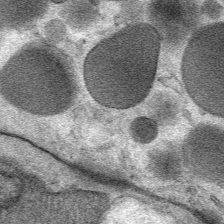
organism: Mouse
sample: Mouse Salivary gland